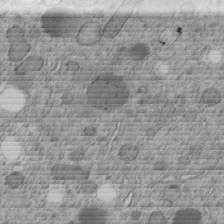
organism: C. elegans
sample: C. elegans embryo early stage